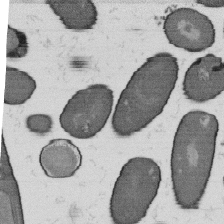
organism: B. subtilis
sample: Bacterial spore